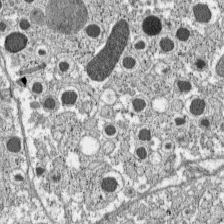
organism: C57BL Mouse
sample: Pancreatic islet